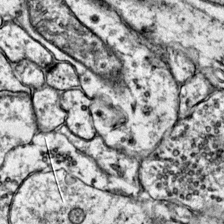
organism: Mouse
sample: Primary visual cortex